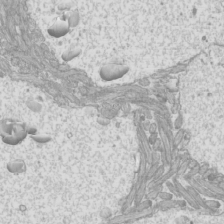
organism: Mouse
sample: Cilia; mouse epididymis